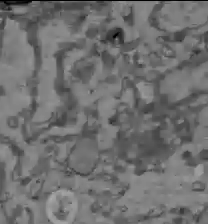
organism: C57BL Mouse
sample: Liver